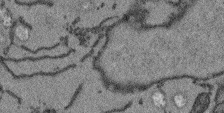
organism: Arabidopsis thaliana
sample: Root tip